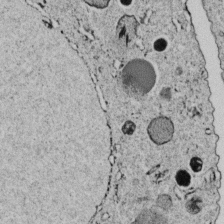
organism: C. elegans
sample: C. elegans embryo early stage